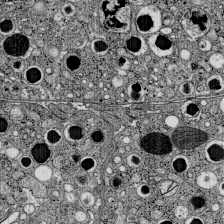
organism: C57BL Mouse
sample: Pancreatic islet